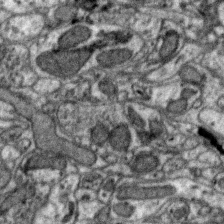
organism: Zebra finch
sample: Brain